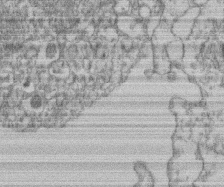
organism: Mouse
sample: T cell stromal cell synapse